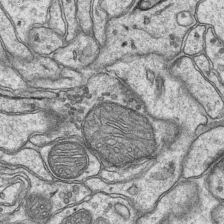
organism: Mouse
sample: CA1 Hippocampus